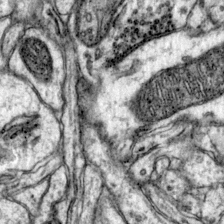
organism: Mouse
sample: Primary visual cortex